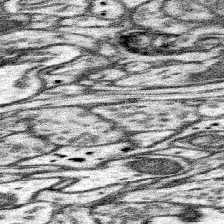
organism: Mouse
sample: Somatosensory cortex neuropil